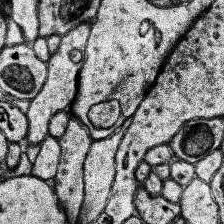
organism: Human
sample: Temporal Lobe